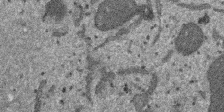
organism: Human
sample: Lung epithelial cells infected with SARS-CoV-2